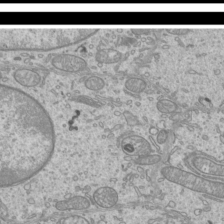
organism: Mouse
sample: Cilia; mouse epididymis